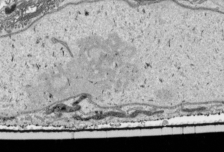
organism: Human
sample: Mitochondria in HCT116 cells